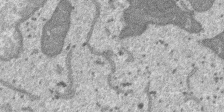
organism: Human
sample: Lung epithelial cells infected with SARS-CoV-2